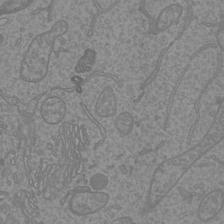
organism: Mouse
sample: Cortical neurons